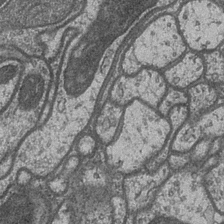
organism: Drosophila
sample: Optic medulla